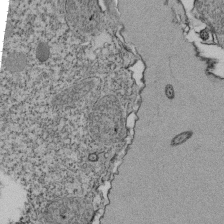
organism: Tetrahymena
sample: Cilia in tetrahymena